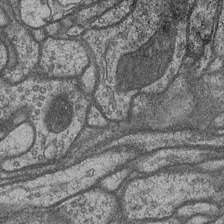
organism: Drosophila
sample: Optic medulla